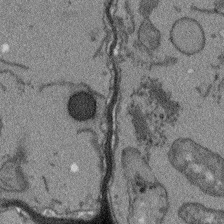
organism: Arabidopsis thaliana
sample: Root tip